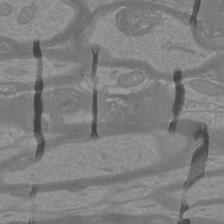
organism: Mouse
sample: Cortical neurons